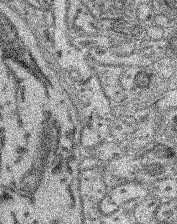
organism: Mouse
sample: Retina